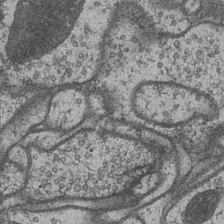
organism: Drosophila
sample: Optic medulla